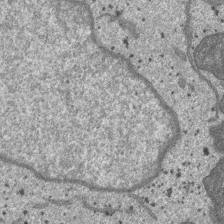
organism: Human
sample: Lung epithelial cells infected with SARS-CoV-2